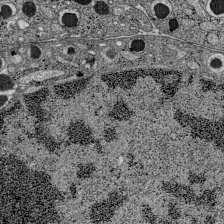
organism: C57BL Mouse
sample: Pancreatic islet